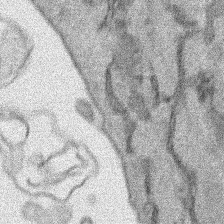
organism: Human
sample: Mitochondria in HCT116 cells